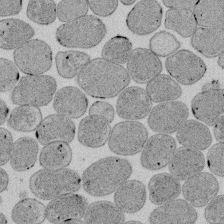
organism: E. coli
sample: Bacterial nucleoid